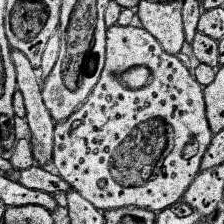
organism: Human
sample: Temporal Lobe